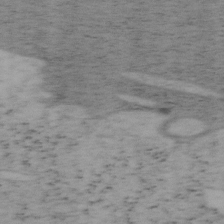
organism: Mouse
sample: OT-I killer T cells with ID8 ovarian cancer cells